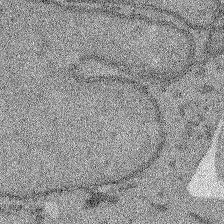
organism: Human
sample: HeLa cells